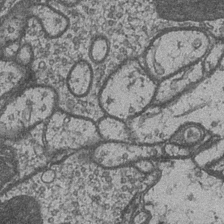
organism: Drosophila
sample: Optic medulla